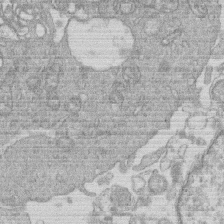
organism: Human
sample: Macrophage cells